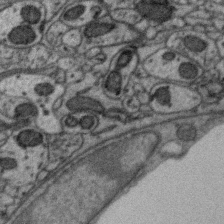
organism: Zebra finch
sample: Brain